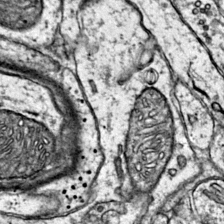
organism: Mouse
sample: Primary visual cortex